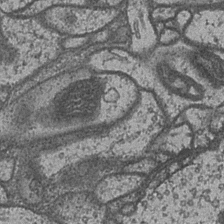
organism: Drosophila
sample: Optic medulla